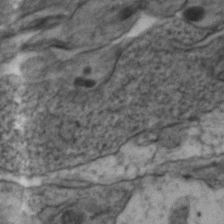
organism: Zebrafish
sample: Zebrafish embryo